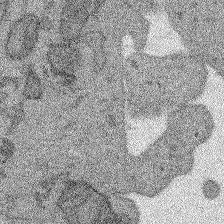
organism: Human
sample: HeLa cells